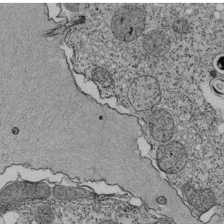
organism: Tetrahymena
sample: Cilia in tetrahymena